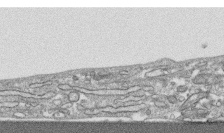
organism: Human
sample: CRL-1474